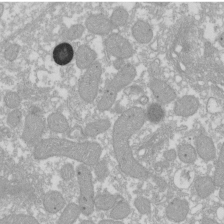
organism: Xenopus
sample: Cilia; centrioles in frog embryo cells